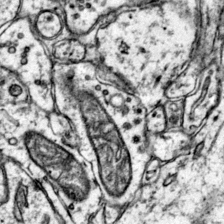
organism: Mouse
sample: Primary visual cortex